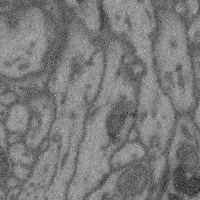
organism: Mouse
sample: Cerebral cortex